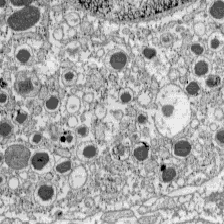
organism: C57BL Mouse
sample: Pancreatic islet